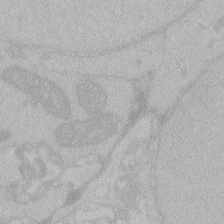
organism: Zebrafish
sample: Macrophage infected with Toxoplasma gondii